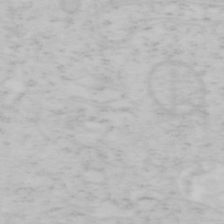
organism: Mouse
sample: OT-I killer T cells with ID8 ovarian cancer cells